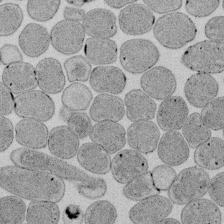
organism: E. coli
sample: Bacterial nucleoid